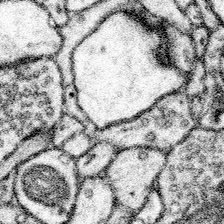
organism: Mouse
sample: Somatosensory cortex neuropil